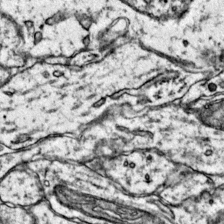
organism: Mouse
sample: Primary visual cortex